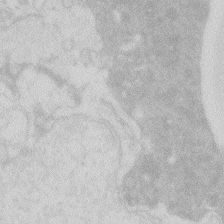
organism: Zebrafish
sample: Macrophage